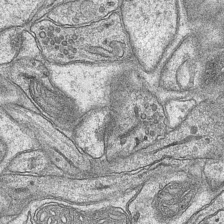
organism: Mouse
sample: CA1 Hippocampus